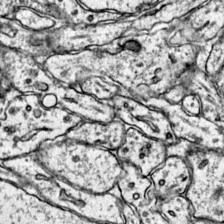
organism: Mouse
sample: Primary visual cortex